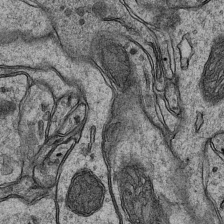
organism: Mouse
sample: CA1 Hippocampus